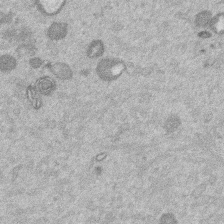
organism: Mouse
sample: Dividing mouse embryo 1 cell stage